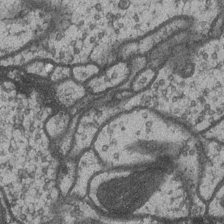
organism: Drosophila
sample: Optic medulla